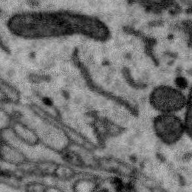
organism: Zebra finch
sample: Brain